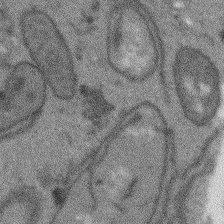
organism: Arabidopsis thaliana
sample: Root tip